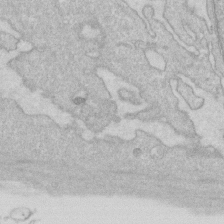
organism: Human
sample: Fibroblast cells